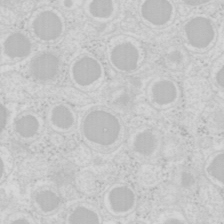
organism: Mouse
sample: Pancreas